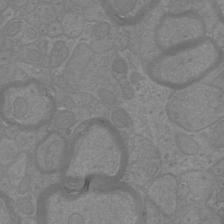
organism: Mouse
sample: Cortical neurons